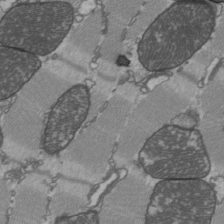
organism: C57BL Mouse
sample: Heart